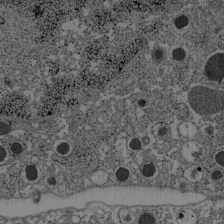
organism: C57BL Mouse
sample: Pancreatic islet